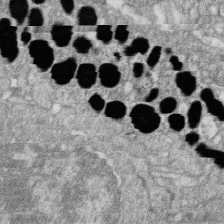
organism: Zebrafish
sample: Cilia; retinal pigment epithelium